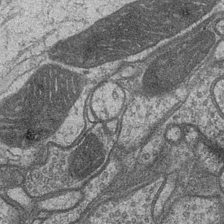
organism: Drosophila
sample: Optic medulla